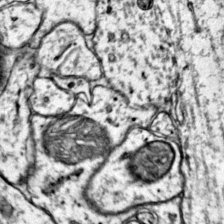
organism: Mouse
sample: Primary visual cortex